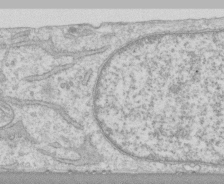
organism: Human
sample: CRL-1474